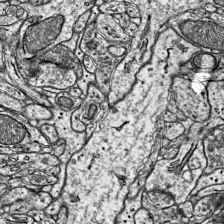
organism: Mouse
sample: Visual Cortex